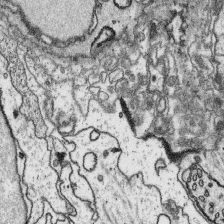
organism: Platynereis dumerilii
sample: Parapodia